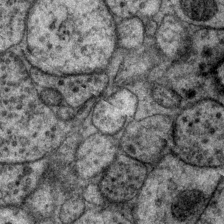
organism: P. pacificus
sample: Pharynx